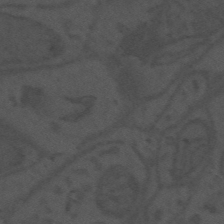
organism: Mouse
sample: Suprachiasmatic nucleus